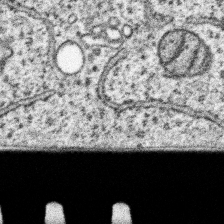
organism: Human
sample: HeLa cells